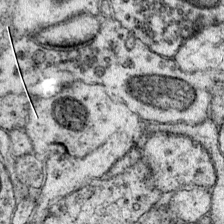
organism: Mouse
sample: Primary visual cortex